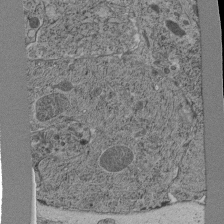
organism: C. elegans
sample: C. elegans pharynx